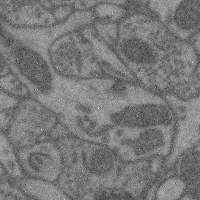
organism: Mouse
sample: Cerebral cortex